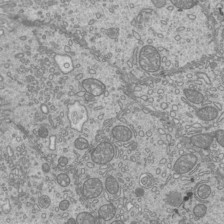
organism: Mouse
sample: Cilia; mouse epididymis